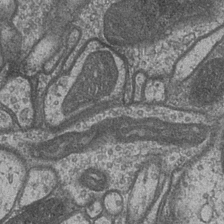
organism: Drosophila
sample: Optic medulla